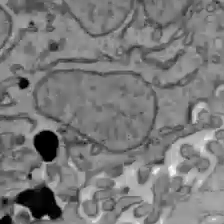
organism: C57BL Mouse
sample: Liver